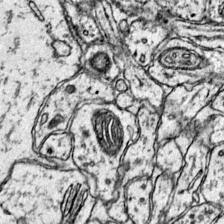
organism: Mouse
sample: Primary visual cortex